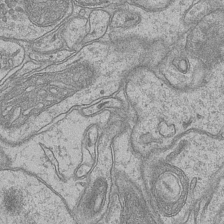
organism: Mouse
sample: CA1 Hippocampus